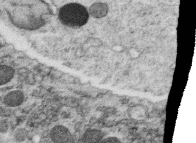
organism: C. elegans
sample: C. elegans oocyte; sperm cells